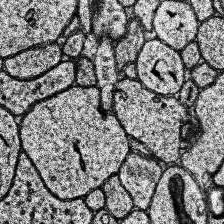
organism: Human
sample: Temporal Lobe